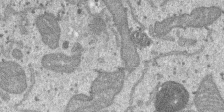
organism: Human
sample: Lung epithelial cells infected with SARS-CoV-2